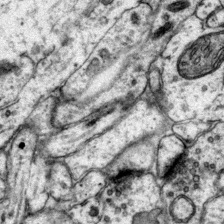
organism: Mouse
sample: Primary visual cortex